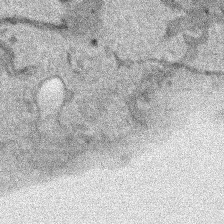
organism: Human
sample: Mitochondria in HCT116 cells